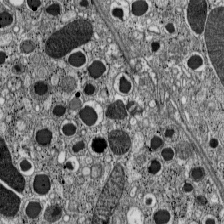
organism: C57BL Mouse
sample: Pancreatic islet